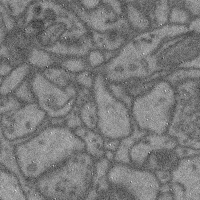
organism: Mouse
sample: Cerebral cortex